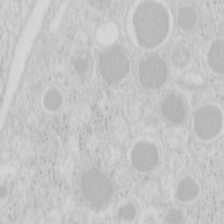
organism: Mouse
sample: Pancreas